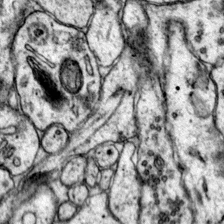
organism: Mouse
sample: Primary visual cortex